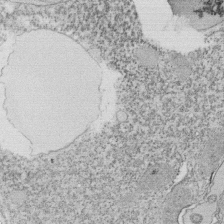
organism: Tetrahymena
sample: Cilia in tetrahymena